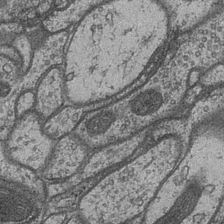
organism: Drosophila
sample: Optic medulla